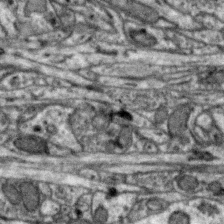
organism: Zebra finch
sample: Brain